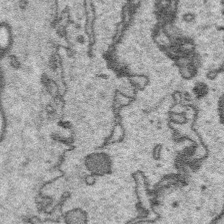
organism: Platynereis dumerilii